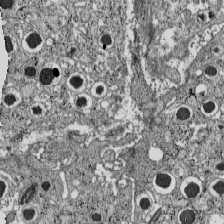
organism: C57BL Mouse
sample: Pancreatic islet